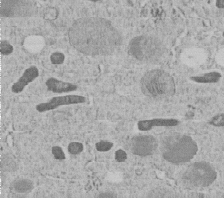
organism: C. elegans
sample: C. elegans embryo early stage